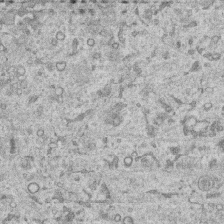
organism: Human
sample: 1205lu cells